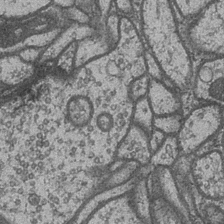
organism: Drosophila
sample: Optic medulla